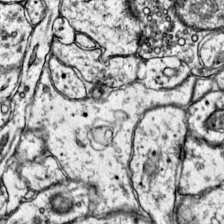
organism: Mouse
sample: Primary visual cortex